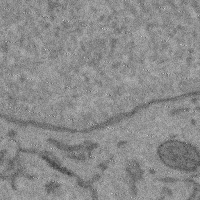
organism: Mouse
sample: Cerebral cortex